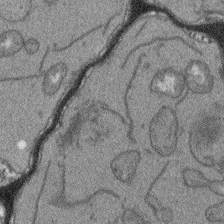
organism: Arabidopsis thaliana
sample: Root tip